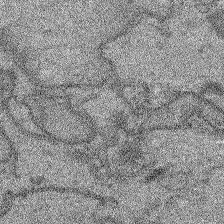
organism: Human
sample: HeLa cells